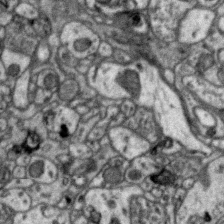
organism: Zebra finch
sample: Brain